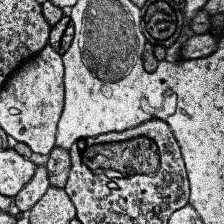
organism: Human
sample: Temporal Lobe